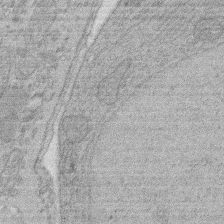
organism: Rat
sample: Salivary granule